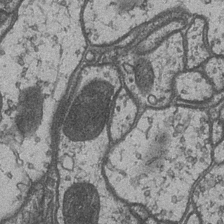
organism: Drosophila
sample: Optic medulla